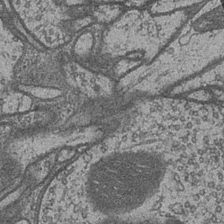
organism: Drosophila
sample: Optic medulla